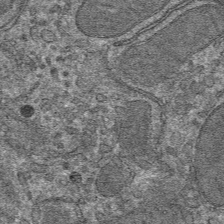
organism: Mouse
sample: Mouse hepatocytes